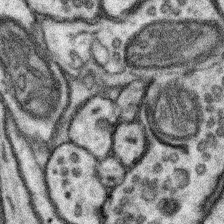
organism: Mouse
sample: Somatosensory cortex neuropil